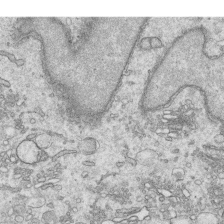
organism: Human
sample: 1205lu cells